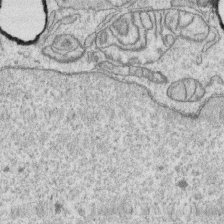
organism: Human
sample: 1205lu cells